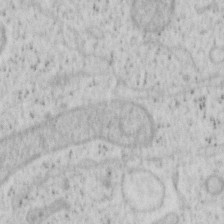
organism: Human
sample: HeLa cells